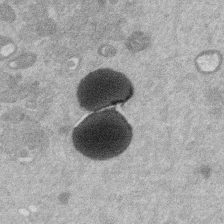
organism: Mouse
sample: Dividing mouse embryo 1 cell stage